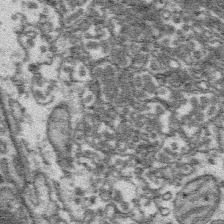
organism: Platynereis dumerilii